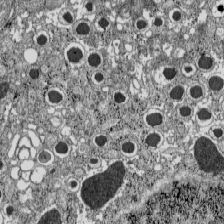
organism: C57BL Mouse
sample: Pancreatic islet